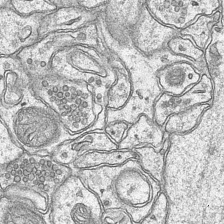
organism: Mouse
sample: CA1 Hippocampus